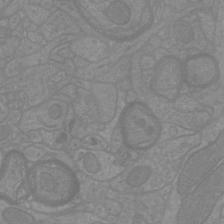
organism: Mouse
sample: Cortical neurons